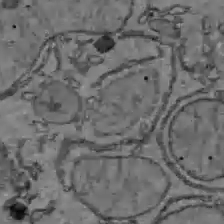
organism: C57BL Mouse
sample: Liver